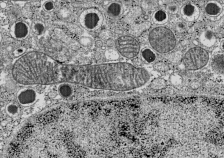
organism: C57BL Mouse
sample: Pancreatic islet